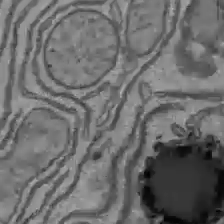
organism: C57BL Mouse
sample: Liver